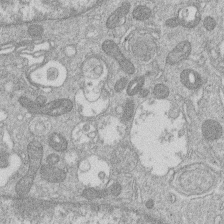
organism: Human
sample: Macrophage cells